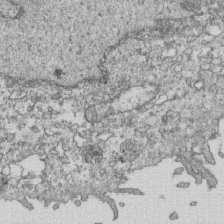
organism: Human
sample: HeLa cell HIV synapse